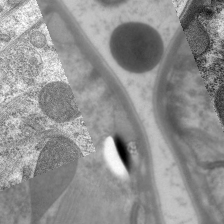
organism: C. elegans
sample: Pharynx